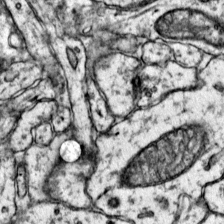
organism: Mouse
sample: Primary visual cortex